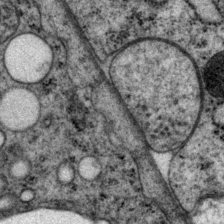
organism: P. pacificus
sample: Pharynx